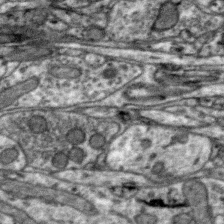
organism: Zebra finch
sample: Brain